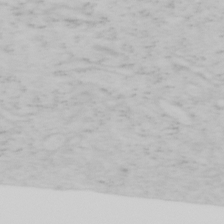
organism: Mouse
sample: OT-I killer T cells with ID8 ovarian cancer cells